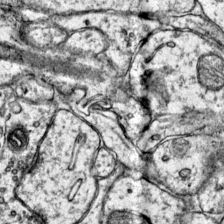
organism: Mouse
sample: Primary visual cortex